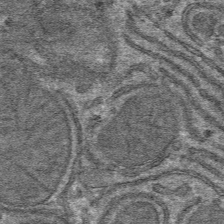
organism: Mouse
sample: Mouse hepatocytes